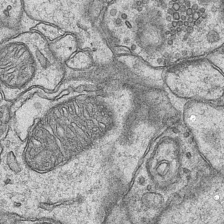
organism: Mouse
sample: CA1 Hippocampus